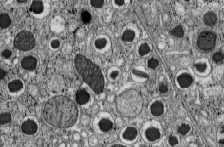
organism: C57BL Mouse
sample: Pancreatic islet